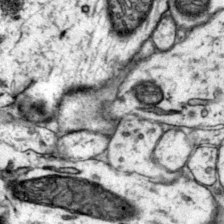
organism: Mouse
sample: Primary visual cortex